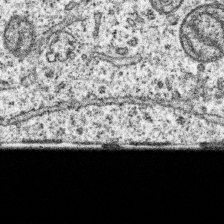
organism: Human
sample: HeLa cells